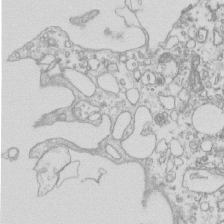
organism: Mouse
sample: Macrophages